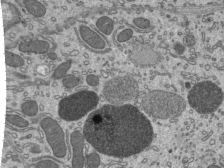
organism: Mouse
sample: Mouse epididymis efferent ductule cilia